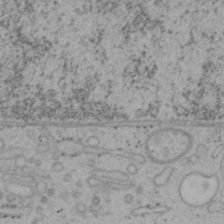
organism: Human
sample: HeLa cells